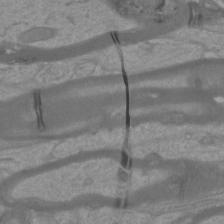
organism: Mouse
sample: Cortical neurons